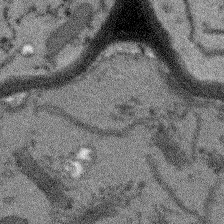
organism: Arabidopsis thaliana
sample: Root tip